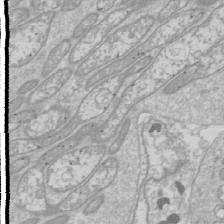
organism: Drosophila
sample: Cell division; meiosis; drosophila spermatocytes